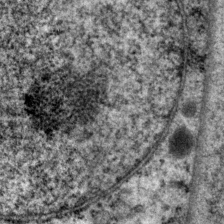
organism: P. pacificus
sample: Pharynx